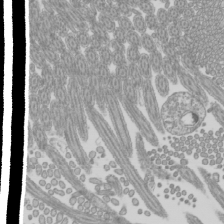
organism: Mouse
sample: Cilia; mouse epididymis